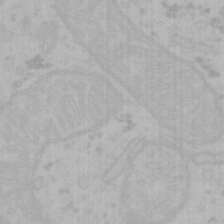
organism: Mouse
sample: Choroid plexus